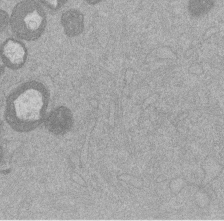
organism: Mouse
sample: Dividing mouse embryo 1 cell stage